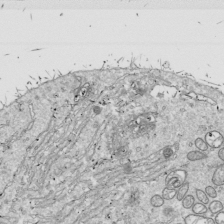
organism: Drosophila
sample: Cell division; meiosis; drosophila spermatocytes